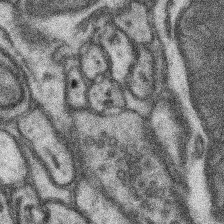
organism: Mouse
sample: Somatosensory cortex neuropil